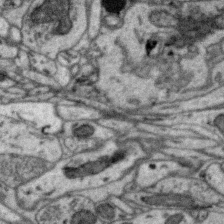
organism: Zebra finch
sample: Brain